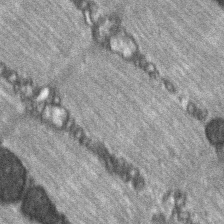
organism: C57BL Mouse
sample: Soleus